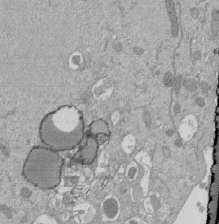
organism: Mouse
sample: ED-1 cell nuclei; centrioles